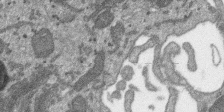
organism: Human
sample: Lung epithelial cells infected with SARS-CoV-2